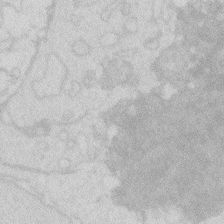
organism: Zebrafish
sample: Macrophage